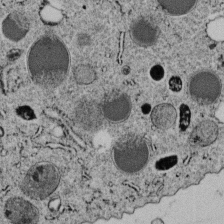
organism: C. elegans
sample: C. elegans embryo early stage